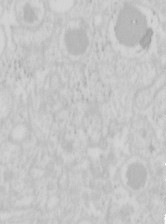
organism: Mouse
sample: Pancreas